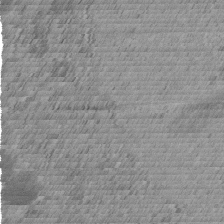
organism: C. elegans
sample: C. elegans embryo early stage